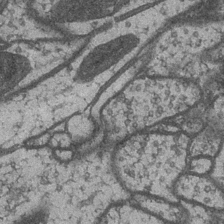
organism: Drosophila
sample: Optic medulla